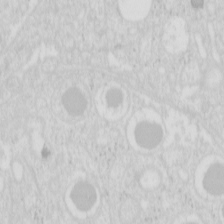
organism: Mouse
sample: Pancreas